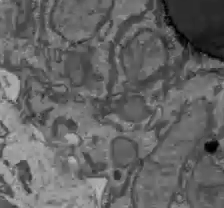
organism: C57BL Mouse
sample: Liver